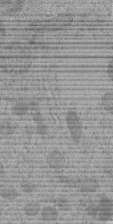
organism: C. elegans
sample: C. elegans embryo early stage